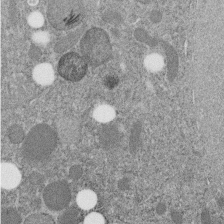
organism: C. elegans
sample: C. elegans embryo early stage